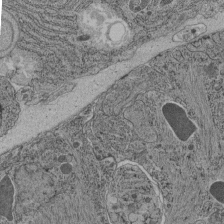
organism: C. elegans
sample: C. elegans pharynx